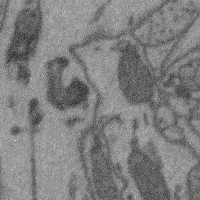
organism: Mouse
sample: Cerebral cortex